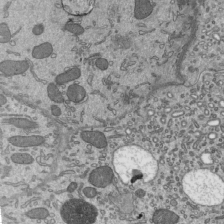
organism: Mouse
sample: Mouse epididymis efferent ductule cilia